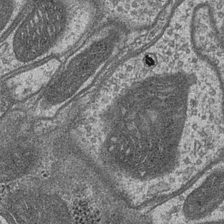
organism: Drosophila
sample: Optic medulla